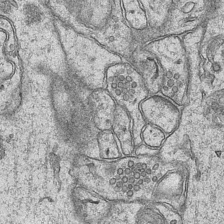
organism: Mouse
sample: CA1 Hippocampus